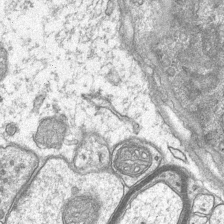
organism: Mouse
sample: CA1 Hippocampus